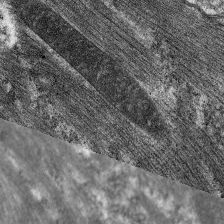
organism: C. elegans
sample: Pharynx